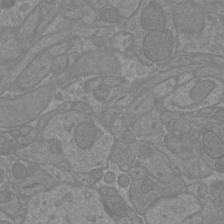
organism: Mouse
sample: Cortical neurons